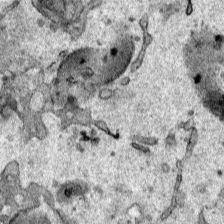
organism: Human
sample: Mitochondria in HCT116 cells